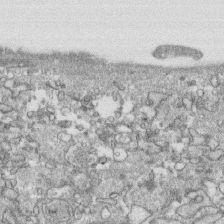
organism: Human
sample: CRL-1474